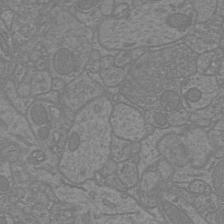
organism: Mouse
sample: Cortical neurons